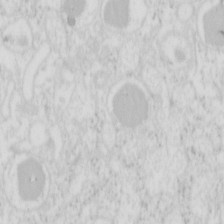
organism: Mouse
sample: Pancreas